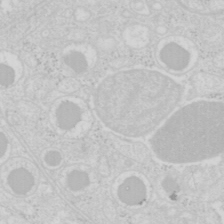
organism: Mouse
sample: Pancreas